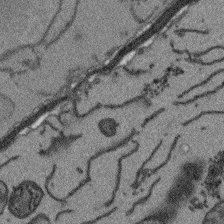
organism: Arabidopsis thaliana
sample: Root tip